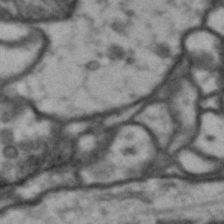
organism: Drosophila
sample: Brain